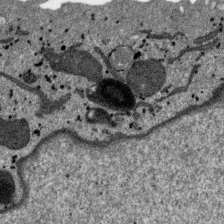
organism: Human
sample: Lung epithelial cells, uninfected (mock) control